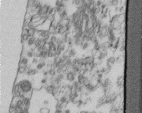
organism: Human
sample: Centriole in fibroblast cells